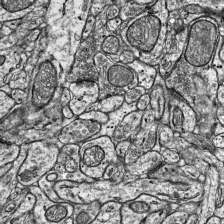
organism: Mouse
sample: Visual Cortex